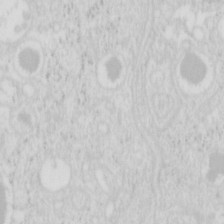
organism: Mouse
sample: Pancreas